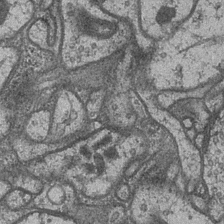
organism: Drosophila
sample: Optic medulla